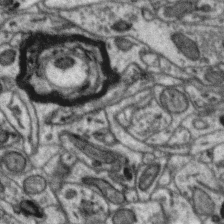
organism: Zebra finch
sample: Brain